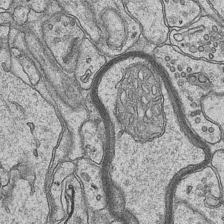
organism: Mouse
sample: CA1 Hippocampus